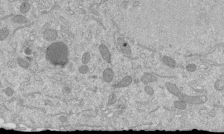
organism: Mouse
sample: ED-1 cell nuclei; centrioles